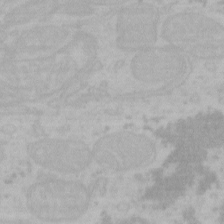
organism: Mouse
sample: Choroid plexus